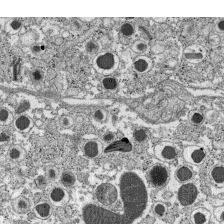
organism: C57BL Mouse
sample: Pancreatic islet